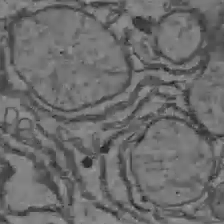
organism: C57BL Mouse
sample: Liver